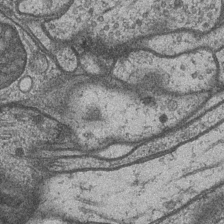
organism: Drosophila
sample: Optic medulla